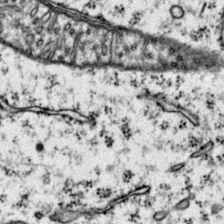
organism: Mouse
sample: Primary visual cortex